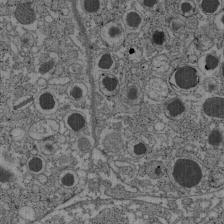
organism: C57BL Mouse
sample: Pancreatic islet